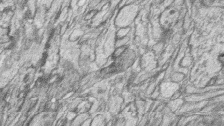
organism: Zebrafish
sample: synaptic ribbons in rod cells and cone cells